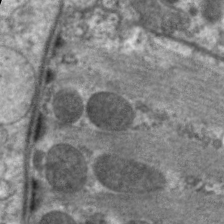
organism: C. elegans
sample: Pharynx